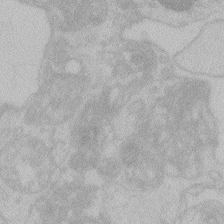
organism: Zebrafish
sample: Macrophage infected with Toxoplasma gondii